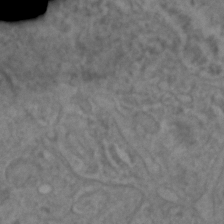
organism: C. elegans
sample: C. elegans embryo